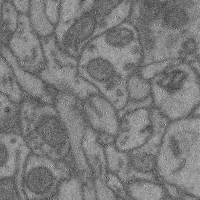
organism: Mouse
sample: Cerebral cortex